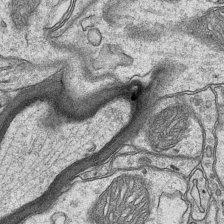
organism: Mouse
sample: CA1 Hippocampus